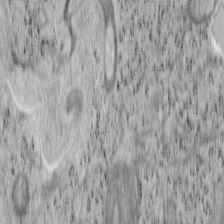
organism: Human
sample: HeLa cells